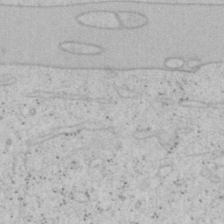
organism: Human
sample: HeLa cells